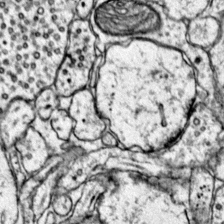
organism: Mouse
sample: Primary visual cortex